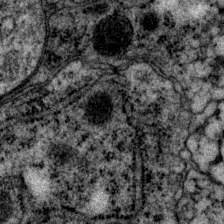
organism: P. pacificus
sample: Pharynx